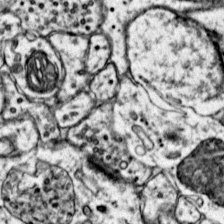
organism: Mouse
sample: Primary visual cortex